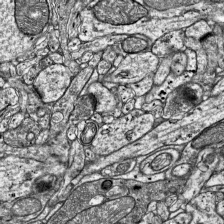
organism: Mouse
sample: Visual Cortex